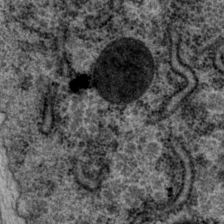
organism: P. pacificus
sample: Pharynx